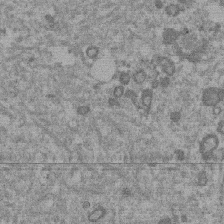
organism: Mouse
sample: Dividing mouse embryo 1 cell stage